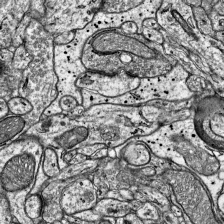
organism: Mouse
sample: Visual Cortex